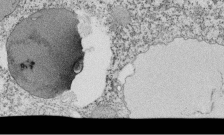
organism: Tetrahymena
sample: Cilia in tetrahymena